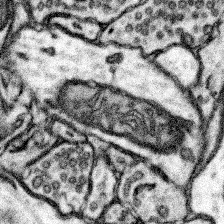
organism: Mouse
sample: Somatosensory cortex neuropil